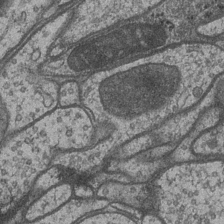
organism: Drosophila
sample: Optic medulla